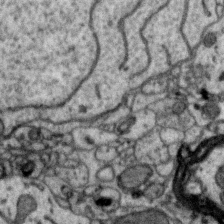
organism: Zebra finch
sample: Brain